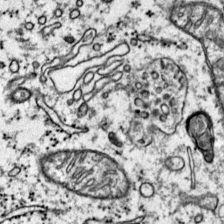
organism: Mouse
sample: Primary visual cortex